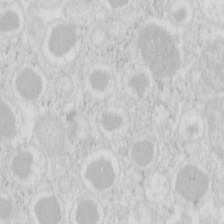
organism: Mouse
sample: Pancreas